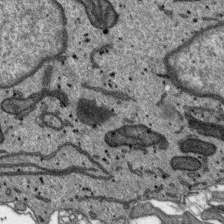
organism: Human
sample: Lung epithelial cells, uninfected (mock) control